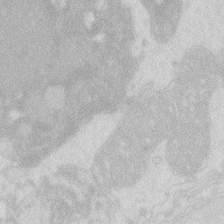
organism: Zebrafish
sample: Macrophage